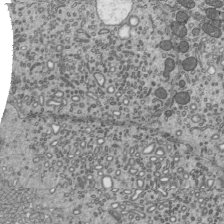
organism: Mouse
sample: Mouse epididymis efferent ductule cilia